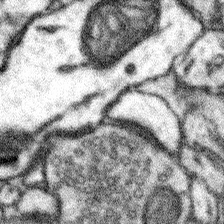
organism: Mouse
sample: Somatosensory cortex neuropil